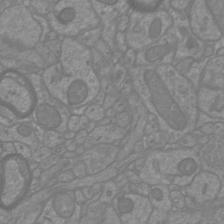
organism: Mouse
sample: Cortical neurons